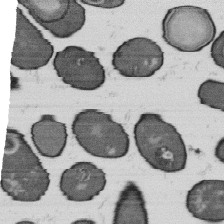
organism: B. subtilis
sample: Bacterial spore